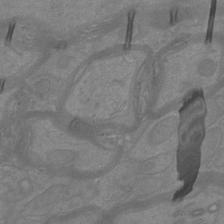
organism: Mouse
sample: Cortical neurons